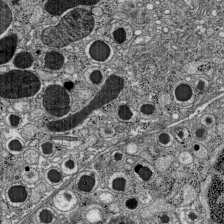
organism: C57BL Mouse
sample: Pancreatic islet